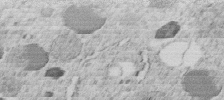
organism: C. elegans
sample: C. elegans embryo early stage